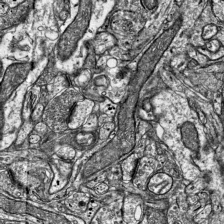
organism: Mouse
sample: Visual Cortex